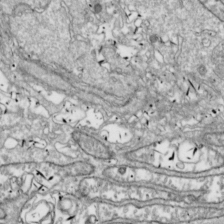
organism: Drosophila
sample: Cell division; meiosis; drosophila spermatocytes